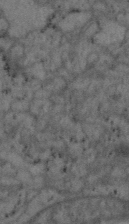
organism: Human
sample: HeLa cells